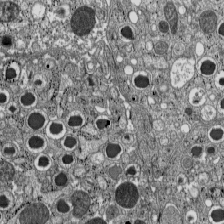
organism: C57BL Mouse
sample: Pancreatic islet